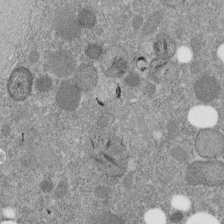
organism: C. elegans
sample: C. elegans embryo early stage